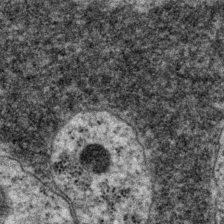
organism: P. pacificus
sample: Pharynx